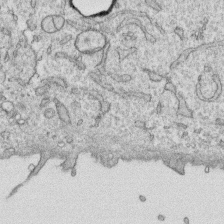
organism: Human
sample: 1205lu cells